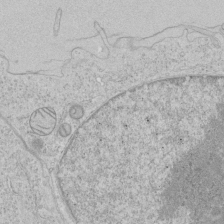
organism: Human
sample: Mitochondria in HCT116 cells